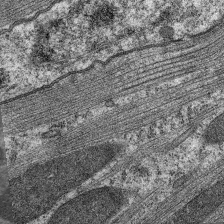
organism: C. elegans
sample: Pharynx